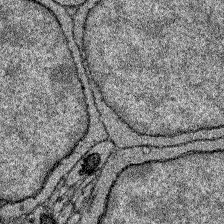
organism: Zebrafish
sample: Larval olfactory bulb